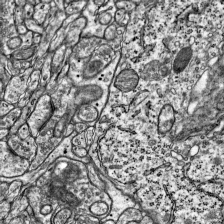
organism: Mouse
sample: Visual Cortex